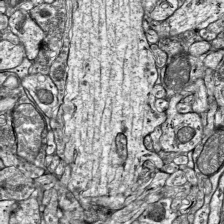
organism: Mouse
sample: Visual Cortex